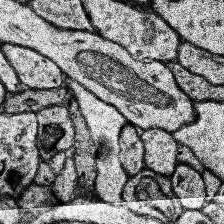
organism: Human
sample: Temporal Lobe